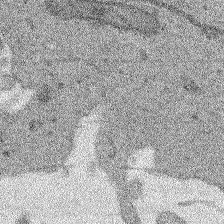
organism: Human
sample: HeLa cells